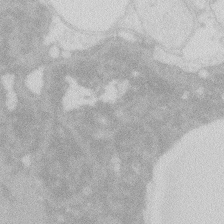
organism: Zebrafish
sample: Macrophage